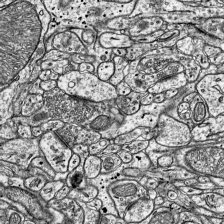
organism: Mouse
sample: Visual Cortex